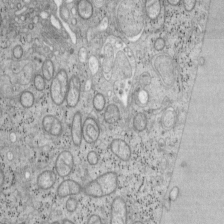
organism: Mouse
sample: OT-I killer T cells with ID8 ovarian cancer cells